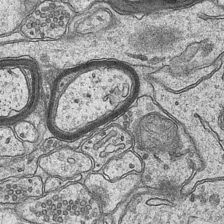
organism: Mouse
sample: CA1 Hippocampus